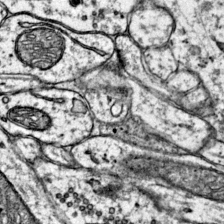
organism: Mouse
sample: Primary visual cortex